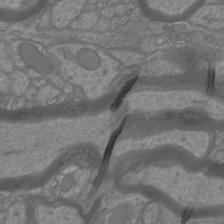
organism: Mouse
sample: Cortical neurons